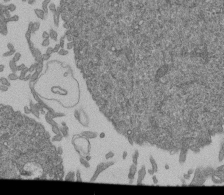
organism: Human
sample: Retinal organoid Rod and Cone cells